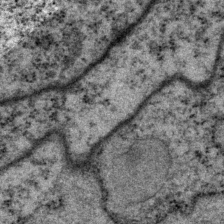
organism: P. pacificus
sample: Pharynx